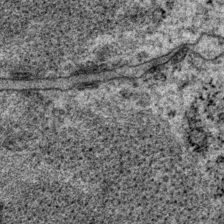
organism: P. pacificus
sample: Pharynx